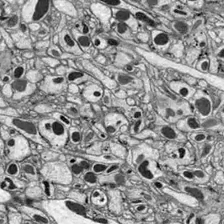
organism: Drosophila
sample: Optic lobe